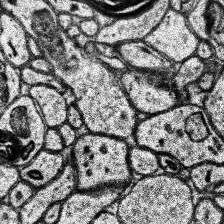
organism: Human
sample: Temporal Lobe